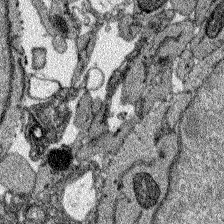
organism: Zebrafish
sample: Larval olfactory bulb